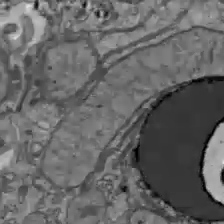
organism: C57BL Mouse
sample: Liver